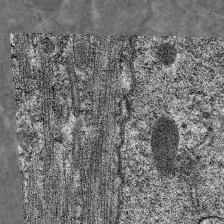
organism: C. elegans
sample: Pharynx